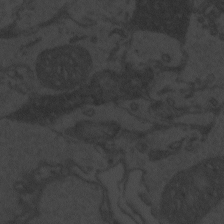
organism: Zebrafish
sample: Macrophage infected with Toxoplasma gondii